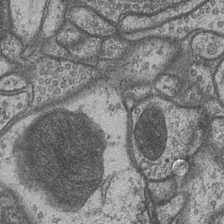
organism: Drosophila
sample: Optic medulla